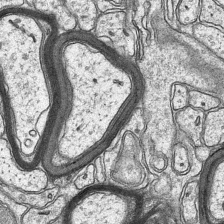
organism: Mouse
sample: CA1 Hippocampus